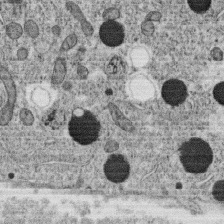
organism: C. elegans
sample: C. elegans oocyte; sperm cells